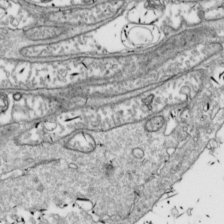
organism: Drosophila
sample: Cell division; meiosis; drosophila spermatocytes